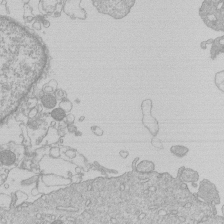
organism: Human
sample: Macrophage cells